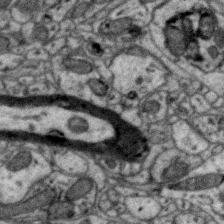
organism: Zebra finch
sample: Brain